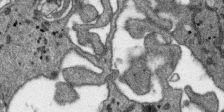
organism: Human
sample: Lung epithelial cells, uninfected (mock) control